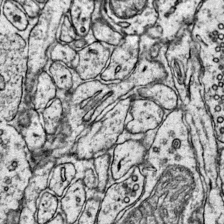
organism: Mouse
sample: Primary visual cortex